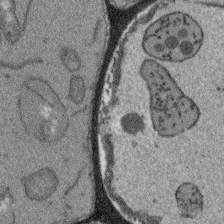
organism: Arabidopsis thaliana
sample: Root tip